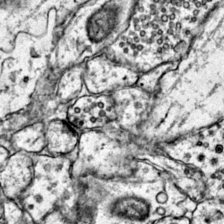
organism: Mouse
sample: Primary visual cortex